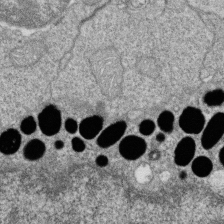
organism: Zebrafish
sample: Cilia; retinal pigment epithelium